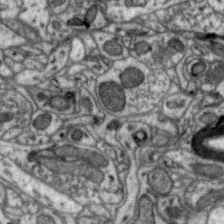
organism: Zebra finch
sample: Brain